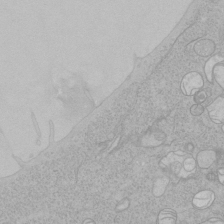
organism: Human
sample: Mitochondria in HCT116 cells